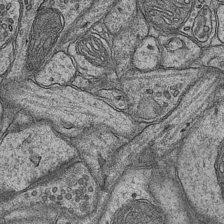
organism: Mouse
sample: CA1 Hippocampus